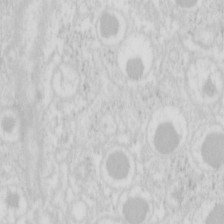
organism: Mouse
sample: Pancreas